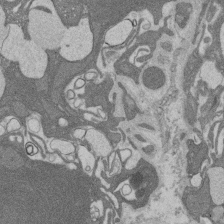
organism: Rat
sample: Salivary granule